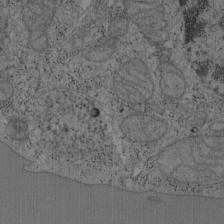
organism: Mouse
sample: OT-I killer T cells with ID8 ovarian cancer cells